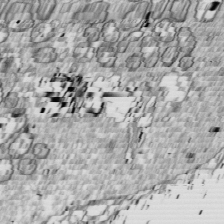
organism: Drosophila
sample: Cell division; meiosis; drosophila spermatocytes